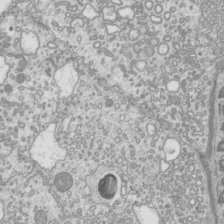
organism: Mouse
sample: Cilia; mouse epididymis